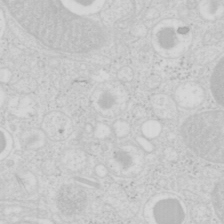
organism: Mouse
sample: Pancreas